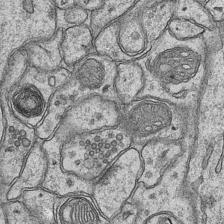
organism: Mouse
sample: CA1 Hippocampus